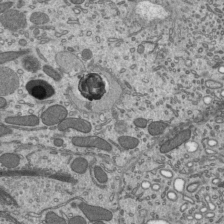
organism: Mouse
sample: Mouse epididymis efferent ductule cilia